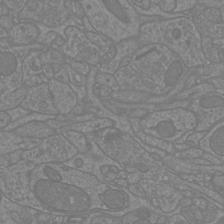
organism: Mouse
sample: Cortical neurons